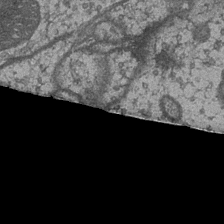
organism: Drosophila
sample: Optic medulla